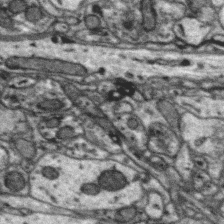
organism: Zebra finch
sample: Brain